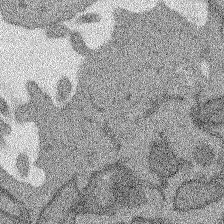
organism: Human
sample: HeLa cells